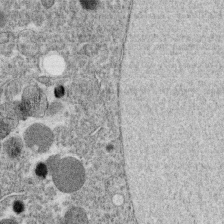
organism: C. elegans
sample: C. elegans oocyte; sperm cells